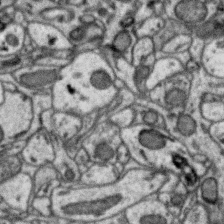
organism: Zebra finch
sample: Brain